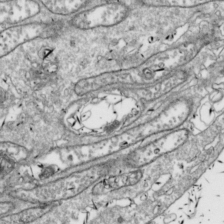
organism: Drosophila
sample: Cell division; meiosis; drosophila spermatocytes